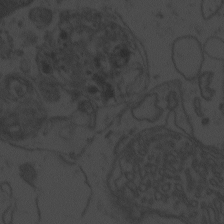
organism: Zebrafish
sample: Macrophage infected with Toxoplasma gondii